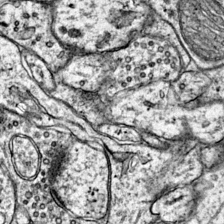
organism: Mouse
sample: Primary visual cortex